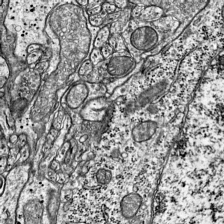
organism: Mouse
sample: Visual Cortex